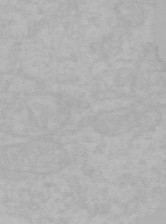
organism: Mouse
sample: Choroid plexus